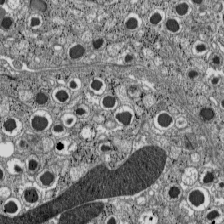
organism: C57BL Mouse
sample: Pancreatic islet